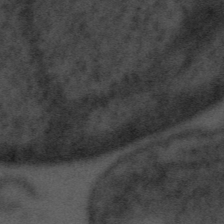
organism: Tuwongella immobilis